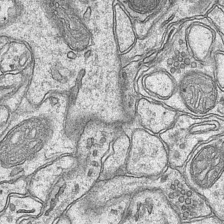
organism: Mouse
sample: CA1 Hippocampus